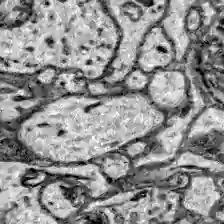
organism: Zebrafish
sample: Brain